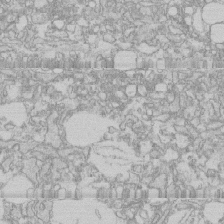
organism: Human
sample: CRL-1474